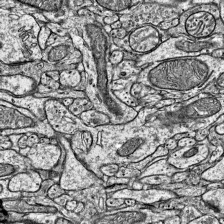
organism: Mouse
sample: Visual Cortex